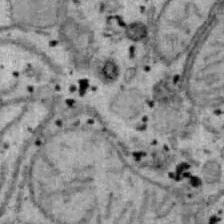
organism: Mouse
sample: Liver from an obese (ob/ob) mouse